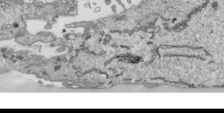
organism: Human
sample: Mitochondria in HCT116 cells